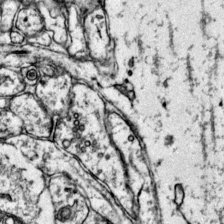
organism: Mouse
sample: Primary visual cortex